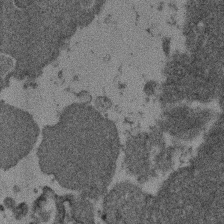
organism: Mouse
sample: Dividing mouse embryo 1 cell stage